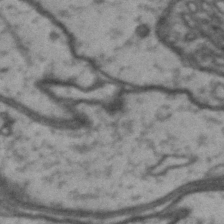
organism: Drosophila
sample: Brain